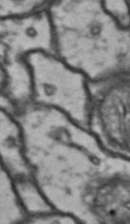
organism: Drosophila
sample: Brain